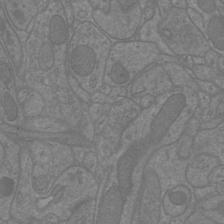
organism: Mouse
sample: Cortical neurons